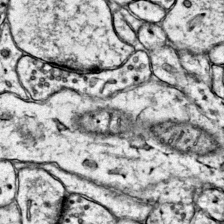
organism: Mouse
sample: Primary visual cortex